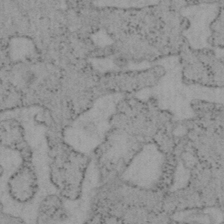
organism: Mouse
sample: OT-I killer T cells with ID8 ovarian cancer cells